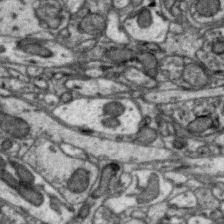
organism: Zebra finch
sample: Brain